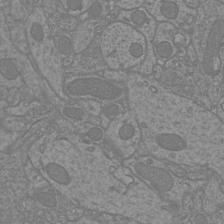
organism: Mouse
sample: Cortical neurons